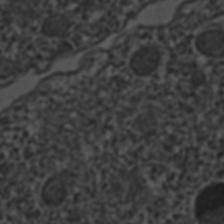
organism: C. elegans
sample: C. elegans embryo